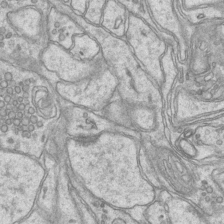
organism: Mouse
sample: CA1 Hippocampus